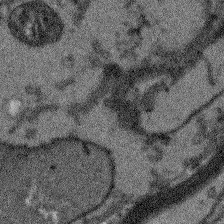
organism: Arabidopsis thaliana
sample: Root tip